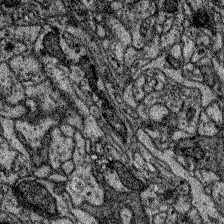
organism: Zebrafish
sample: Larval olfactory bulb